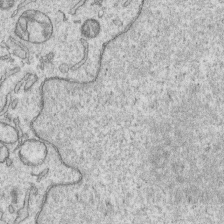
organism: Human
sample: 1205lu cells